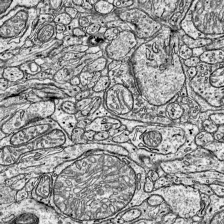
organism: Mouse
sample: Visual Cortex